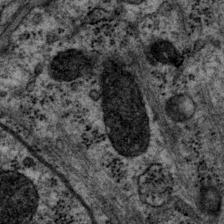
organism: P. pacificus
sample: Pharynx